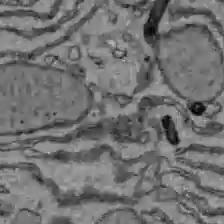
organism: C57BL Mouse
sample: Liver